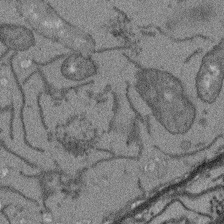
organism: Arabidopsis thaliana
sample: Root tip